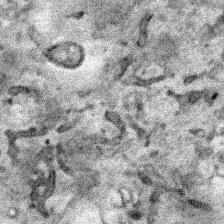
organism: Human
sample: Mitochondria in HCT116 cells